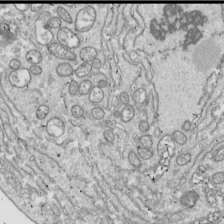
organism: Drosophila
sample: Cell division; meiosis; drosophila spermatocytes